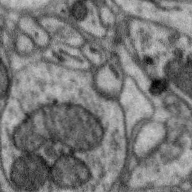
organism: Zebra finch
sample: Brain